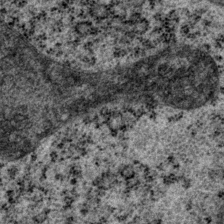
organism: P. pacificus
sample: Pharynx